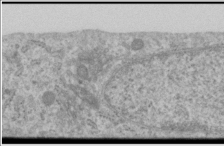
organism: Human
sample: Cilia; basal body in RPE cells